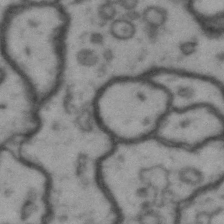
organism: Drosophila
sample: Brain